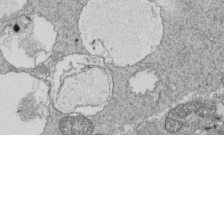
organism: Tetrahymena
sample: Cilia in tetrahymena